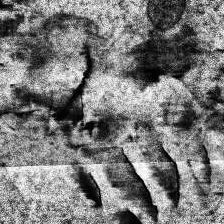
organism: Human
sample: Temporal Lobe